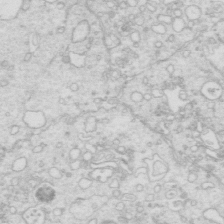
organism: Mouse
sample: Multiciliated cells